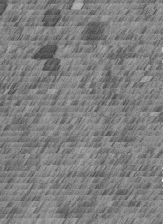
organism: C. elegans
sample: C. elegans embryo early stage